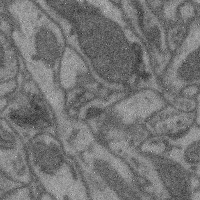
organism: Mouse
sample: Cerebral cortex